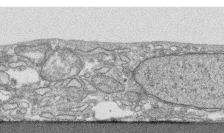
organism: Human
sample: CRL-1474